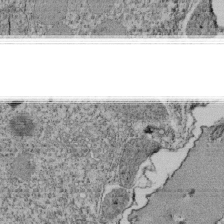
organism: Tetrahymena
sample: Cilia in tetrahymena